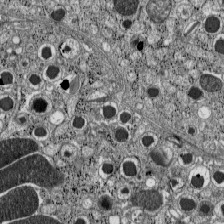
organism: C57BL Mouse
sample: Pancreatic islet